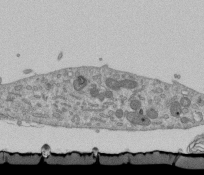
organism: Mouse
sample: ED-1 cell nuclei; centrioles